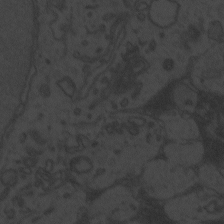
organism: Zebrafish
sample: Macrophage infected with Toxoplasma gondii